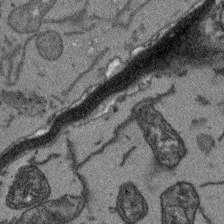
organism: Arabidopsis thaliana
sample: Root tip